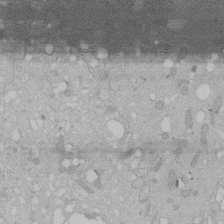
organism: Human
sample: Melanocyte Keratinocyte synapse skin construct